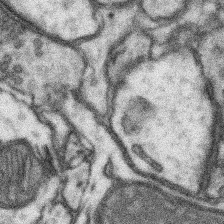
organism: Mouse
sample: Somatosensory cortex neuropil